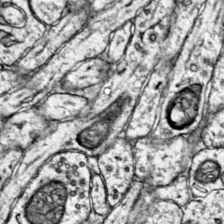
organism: Mouse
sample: Primary visual cortex